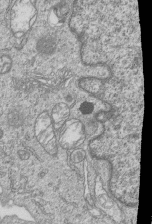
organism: Human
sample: MDA-MB-231 cells